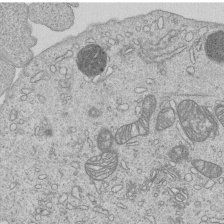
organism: Human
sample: MDA-MB-231 cells